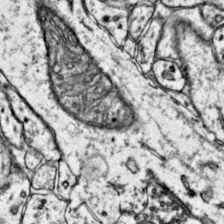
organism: Mouse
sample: Primary visual cortex